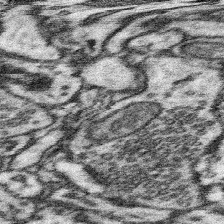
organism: Mouse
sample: Somatosensory cortex neuropil